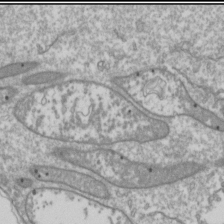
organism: Drosophila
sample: Cell division; meiosis; drosophila spermatocytes